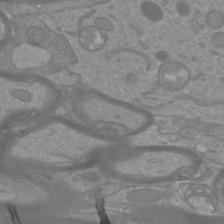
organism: Mouse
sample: Cortical neurons